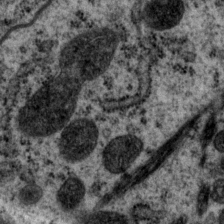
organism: P. pacificus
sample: Pharynx